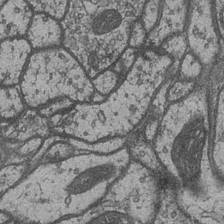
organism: Drosophila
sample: Optic medulla